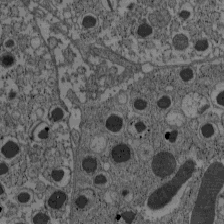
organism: C57BL Mouse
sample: Pancreatic islet